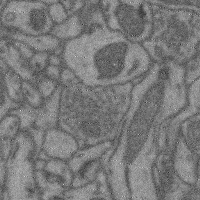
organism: Mouse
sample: Cerebral cortex